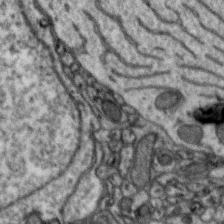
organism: Zebra finch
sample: Brain